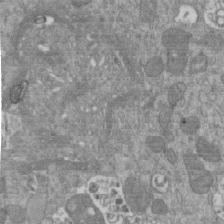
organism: Mouse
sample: ED-1 cell nuclei; centrioles